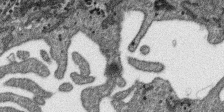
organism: Human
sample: Lung epithelial cells infected with SARS-CoV-2